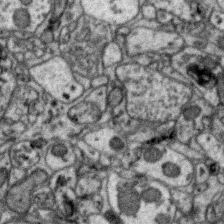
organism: Zebra finch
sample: Brain